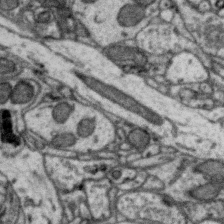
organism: Zebra finch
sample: Brain